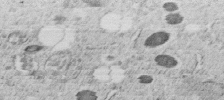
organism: C. elegans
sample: C. elegans embryo early stage